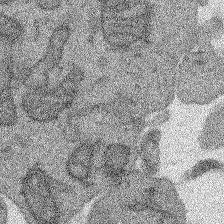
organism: Human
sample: HeLa cells